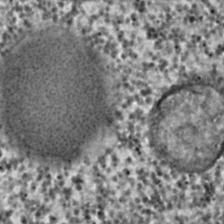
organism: C. elegans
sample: C. elegans embryo